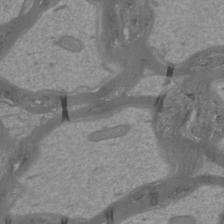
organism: Mouse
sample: Cortical neurons